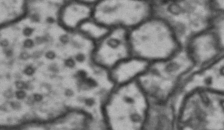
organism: Drosophila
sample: Brain